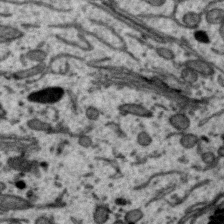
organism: Zebra finch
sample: Brain